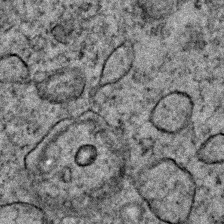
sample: Trachea